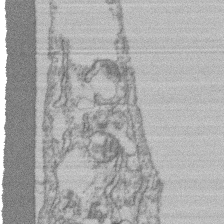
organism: Mouse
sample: T cell stromal cell synapse